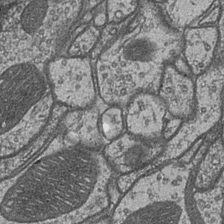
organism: Drosophila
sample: Optic medulla